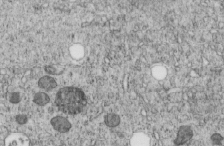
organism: C. elegans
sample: C. elegans embryo early stage